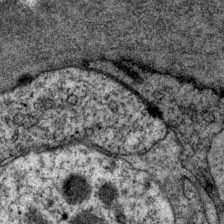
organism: P. pacificus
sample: Pharynx